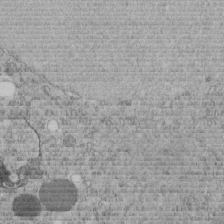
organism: C. elegans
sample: C. elegans embryo early stage